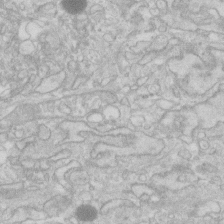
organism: Human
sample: Fibroblast cells